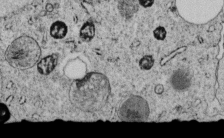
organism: C. elegans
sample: C. elegans embryo early stage